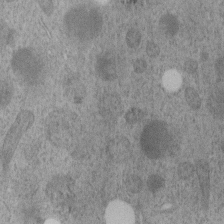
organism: C. elegans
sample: C. elegans embryo early stage